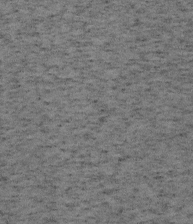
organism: Mouse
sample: OT-I killer T cells with ID8 ovarian cancer cells